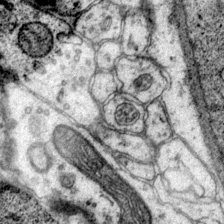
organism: Mouse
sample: Primary visual cortex